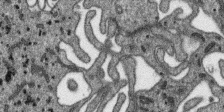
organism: Human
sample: Lung epithelial cells infected with SARS-CoV-2